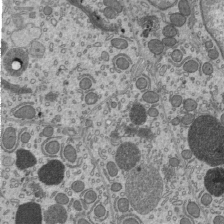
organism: Mouse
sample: Mouse epididymis efferent ductule cilia